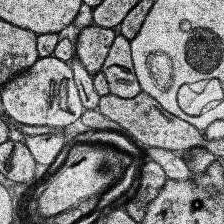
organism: Human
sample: Temporal Lobe